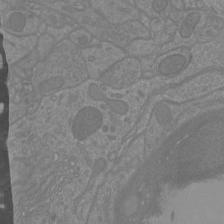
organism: Mouse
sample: Cortical neurons